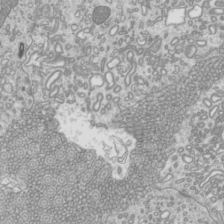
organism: Mouse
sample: Cilia; mouse epididymis